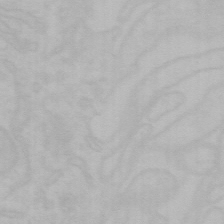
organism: Mouse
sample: Choroid plexus